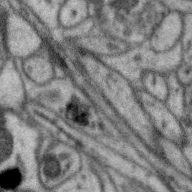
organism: Zebra finch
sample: Brain